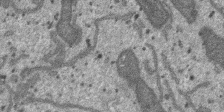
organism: Human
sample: Lung epithelial cells infected with SARS-CoV-2